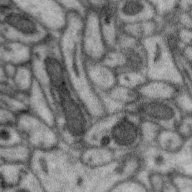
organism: Zebra finch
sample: Brain